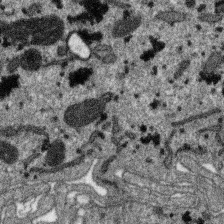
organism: Human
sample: Lung epithelial cells infected with SARS-CoV-2